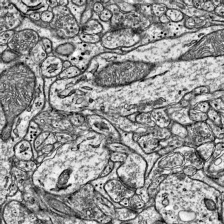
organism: Mouse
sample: Visual Cortex